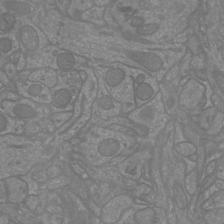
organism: Mouse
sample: Cortical neurons